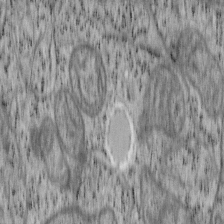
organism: Human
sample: HeLa cells